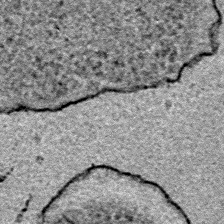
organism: E. coli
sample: E. Coli Bacteria